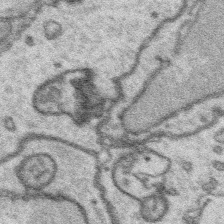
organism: Platynereis dumerilii